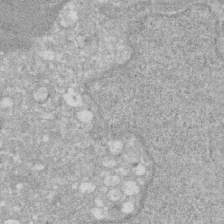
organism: Human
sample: HIV infected U937 cells